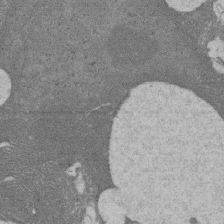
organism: Rat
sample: Salivary granule